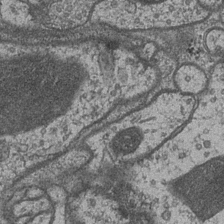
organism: Drosophila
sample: Optic medulla